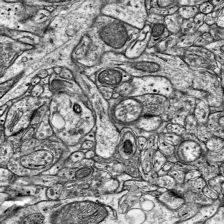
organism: Mouse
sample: Visual Cortex